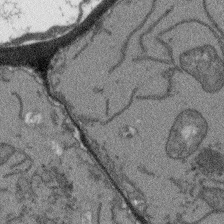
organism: Arabidopsis thaliana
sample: Root tip